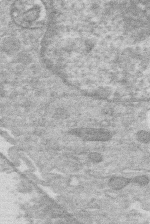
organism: Human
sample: Macrophage cells